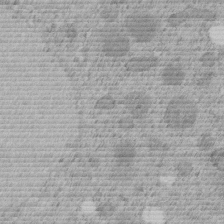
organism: C. elegans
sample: C. elegans embryo early stage